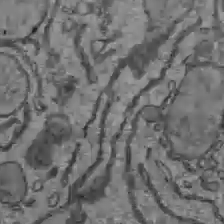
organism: C57BL Mouse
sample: Liver